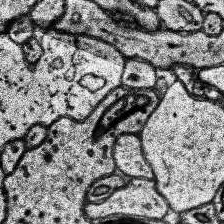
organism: Human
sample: Temporal Lobe